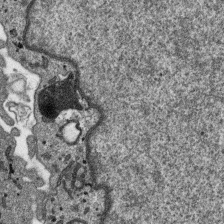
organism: Human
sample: Lung epithelial cells infected with SARS-CoV-2